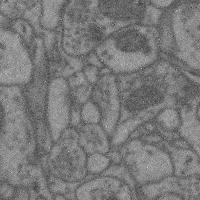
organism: Mouse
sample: Cerebral cortex